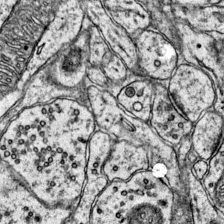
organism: Mouse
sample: Primary visual cortex